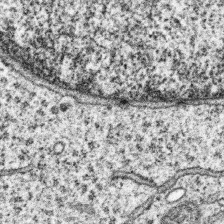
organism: Human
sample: HeLa cells